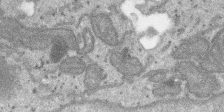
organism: Human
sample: Lung epithelial cells infected with SARS-CoV-2